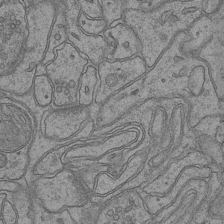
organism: Mouse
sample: CA1 Hippocampus